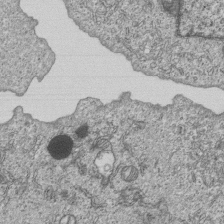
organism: Human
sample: MDA-MB-231 cells